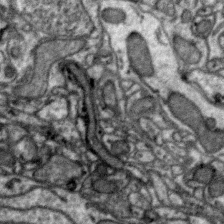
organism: Zebra finch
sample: Brain